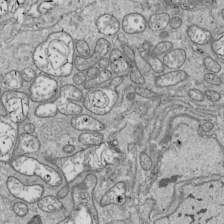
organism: Drosophila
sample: Cell division; meiosis; drosophila spermatocytes